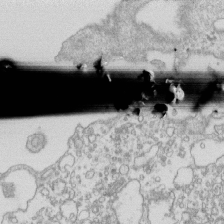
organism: Mouse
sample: Macrophages